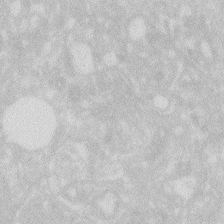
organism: Zebrafish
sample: Macrophage